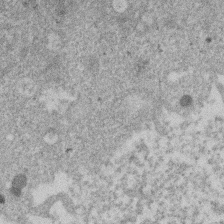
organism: Mouse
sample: Dividing mouse embryo 1 cell stage